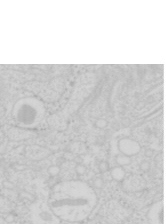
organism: Mouse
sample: Pancreas